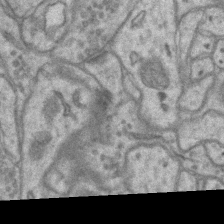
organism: Mouse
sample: CA1 Hippocampus